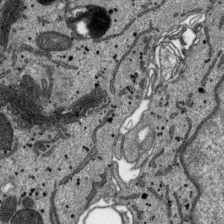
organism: Human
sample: Lung epithelial cells, uninfected (mock) control